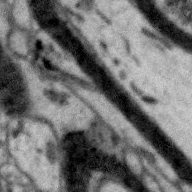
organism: Zebra finch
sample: Brain